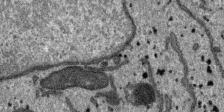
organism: Human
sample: Lung epithelial cells, uninfected (mock) control